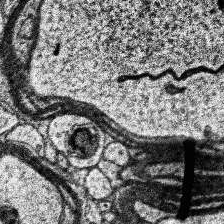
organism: Human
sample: Temporal Lobe